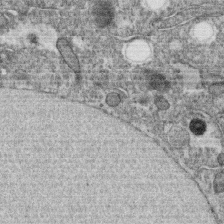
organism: C. elegans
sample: C. elegans oocyte; sperm cells